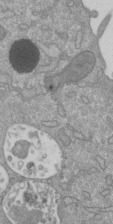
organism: Mouse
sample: ED-1 cell nuclei; centrioles